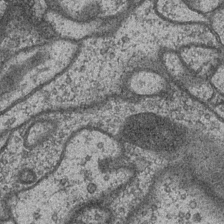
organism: Drosophila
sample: Optic medulla